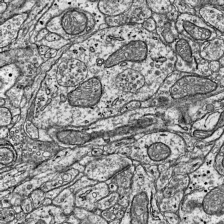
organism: Mouse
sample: Visual Cortex